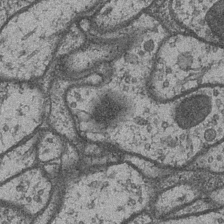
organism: Drosophila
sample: Optic medulla